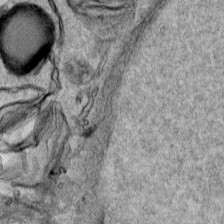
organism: Human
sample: Mitochondria in HCT116 cells